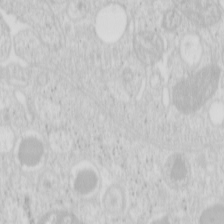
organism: Mouse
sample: Pancreas